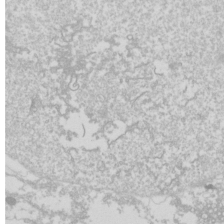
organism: Drosophila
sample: Cell division; meiosis; drosophila spermatocytes